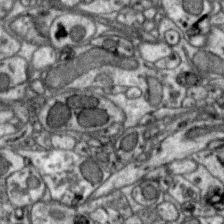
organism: Zebra finch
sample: Brain